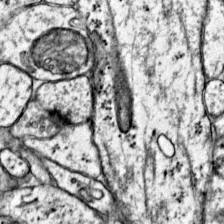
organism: Mouse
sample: Primary visual cortex